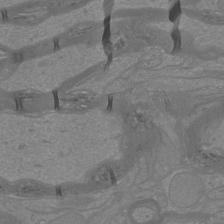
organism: Mouse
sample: Cortical neurons